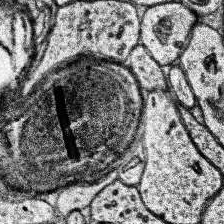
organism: Human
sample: Temporal Lobe